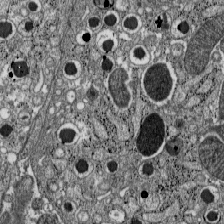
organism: C57BL Mouse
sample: Pancreatic islet